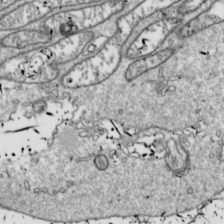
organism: Drosophila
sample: Cell division; meiosis; drosophila spermatocytes